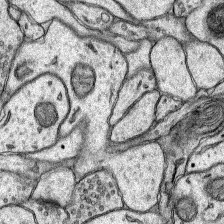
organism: Rat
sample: Hippocampus